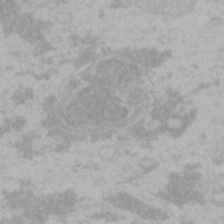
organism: Mouse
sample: Choroid plexus